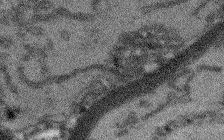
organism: Arabidopsis thaliana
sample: Root tip